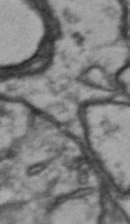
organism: Drosophila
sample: Brain